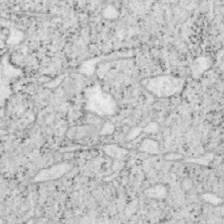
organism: Mouse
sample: OT-I killer T cells with ID8 ovarian cancer cells